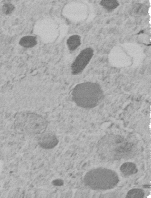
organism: C. elegans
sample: C. elegans embryo early stage